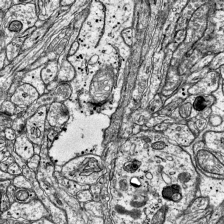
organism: Mouse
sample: Visual Cortex